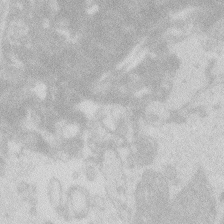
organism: Zebrafish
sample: Macrophage